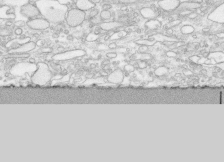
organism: Human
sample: CRL-1474